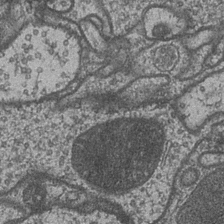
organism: Drosophila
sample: Optic medulla